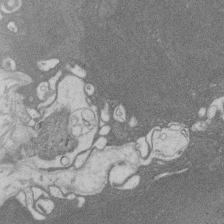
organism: Rat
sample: Salivary granule